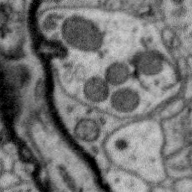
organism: Zebra finch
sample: Brain